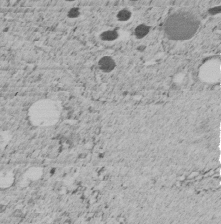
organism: C. elegans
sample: C. elegans embryo early stage